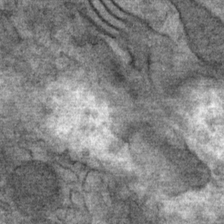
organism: Mouse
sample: Mouse Salivary gland